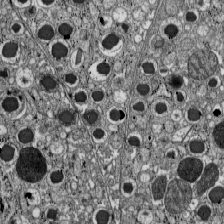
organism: C57BL Mouse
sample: Pancreatic islet